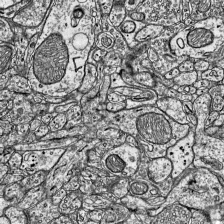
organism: Mouse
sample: Visual Cortex